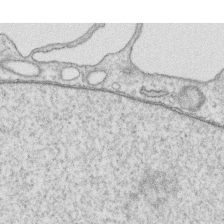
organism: Human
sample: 1205lu cells